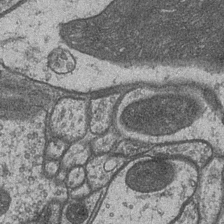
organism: Drosophila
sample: Optic medulla